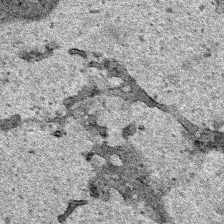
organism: Human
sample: Mitochondria in HCT116 cells